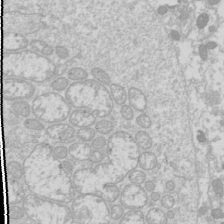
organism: Drosophila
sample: Cell division; meiosis; drosophila spermatocytes